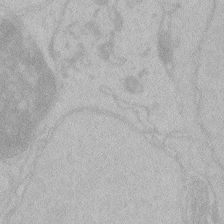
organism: Zebrafish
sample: Macrophage infected with Toxoplasma gondii